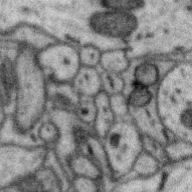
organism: Zebra finch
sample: Brain